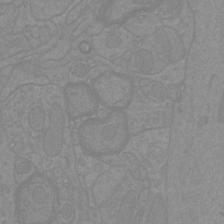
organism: Mouse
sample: Cortical neurons